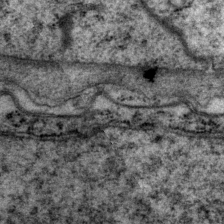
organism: P. pacificus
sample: Pharynx